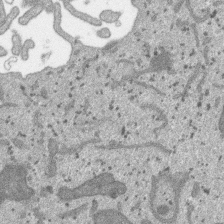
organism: Human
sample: Lung epithelial cells infected with SARS-CoV-2